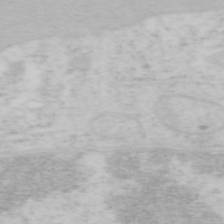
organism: Mouse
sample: OT-I killer T cells with ID8 ovarian cancer cells